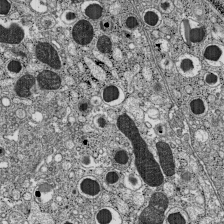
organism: C57BL Mouse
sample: Pancreatic islet